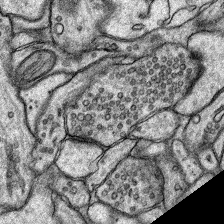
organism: Rat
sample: Hippocampus